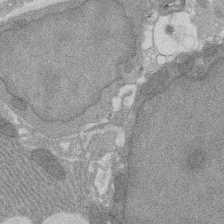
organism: Rat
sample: Salivary granule